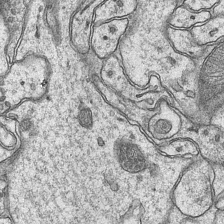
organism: Mouse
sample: CA1 Hippocampus